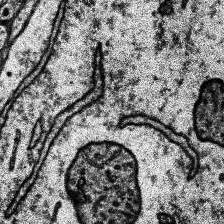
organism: Human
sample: Temporal Lobe